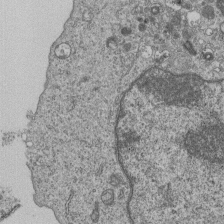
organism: Human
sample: MDA-MB-231 cells